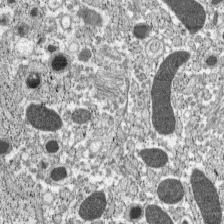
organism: C57BL Mouse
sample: Pancreatic islet